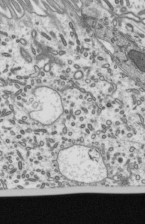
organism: Mouse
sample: Mouse epididymis efferent ductule cilia